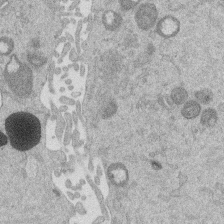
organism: Mouse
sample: Dividing mouse embryo 1 cell stage